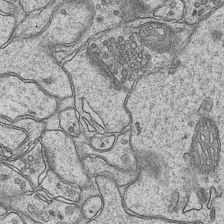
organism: Mouse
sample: CA1 Hippocampus